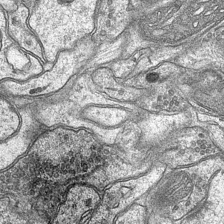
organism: Mouse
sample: CA1 Hippocampus